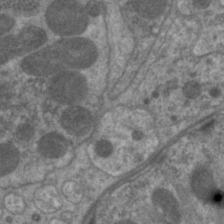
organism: C. elegans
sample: Pharynx